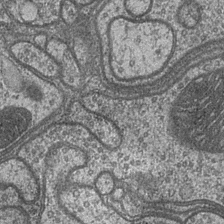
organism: Drosophila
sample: Optic medulla